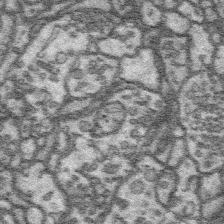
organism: Platynereis dumerilii